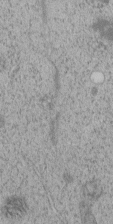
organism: C. elegans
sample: C. elegans embryo early stage